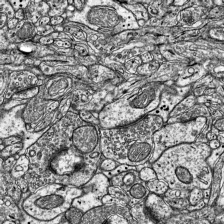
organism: Mouse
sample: Visual Cortex